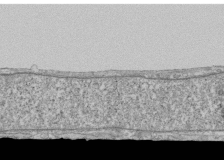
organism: Human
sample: Fibroblast cells